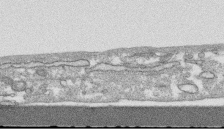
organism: Human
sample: CRL-1474